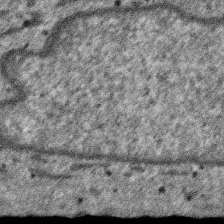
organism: Human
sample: Lung epithelial cells infected with SARS-CoV-2